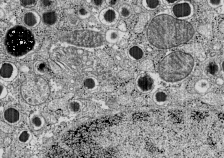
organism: C57BL Mouse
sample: Pancreatic islet